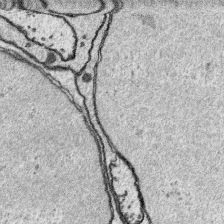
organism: Platynereis dumerilii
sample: Parapodia